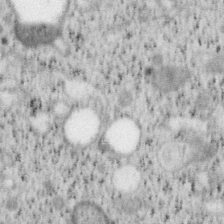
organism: Mouse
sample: OT-I killer T cells with ID8 ovarian cancer cells